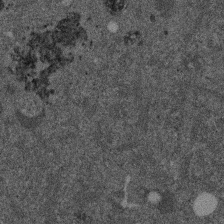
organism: Mouse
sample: Dividing mouse embryo 1 cell stage